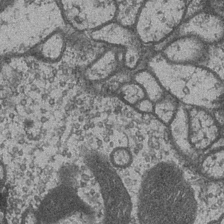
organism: Drosophila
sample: Optic medulla